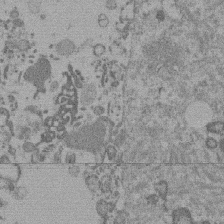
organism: Mouse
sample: Dividing mouse embryo 1 cell stage